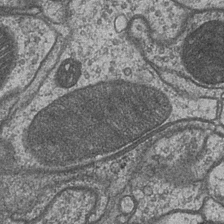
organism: Drosophila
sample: Optic medulla